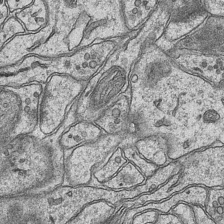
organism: Mouse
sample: CA1 Hippocampus